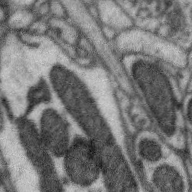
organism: Zebra finch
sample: Brain